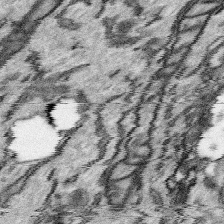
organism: Human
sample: HeLa cells